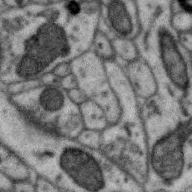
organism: Zebra finch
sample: Brain